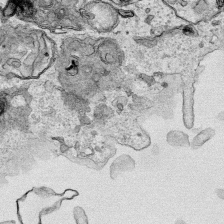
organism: Human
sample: Mitochondria in HCT116 cells